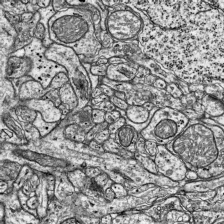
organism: Mouse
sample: Visual Cortex